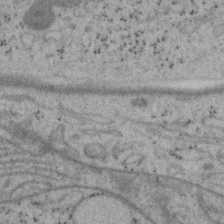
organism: Human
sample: HeLa cells